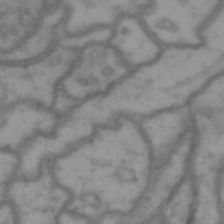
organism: Drosophila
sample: Brain